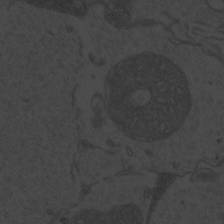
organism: Zebrafish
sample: Macrophage infected with Toxoplasma gondii